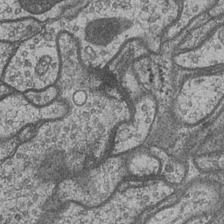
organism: Drosophila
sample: Optic medulla